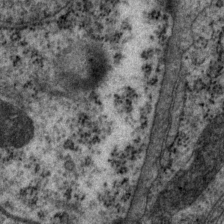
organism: P. pacificus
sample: Pharynx